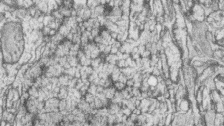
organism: Zebrafish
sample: synaptic ribbons in rod cells and cone cells